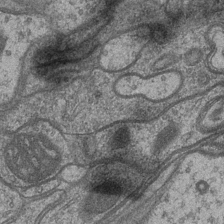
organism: Drosophila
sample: Optic medulla